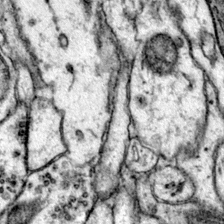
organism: Mouse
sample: Primary visual cortex